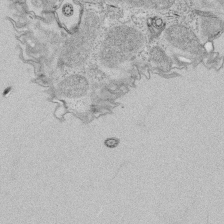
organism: Tetrahymena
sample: Cilia in tetrahymena